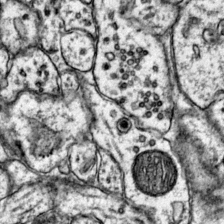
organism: Mouse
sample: Primary visual cortex